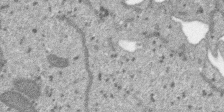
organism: Human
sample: Lung epithelial cells infected with SARS-CoV-2